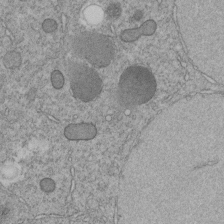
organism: C. elegans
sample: C. elegans embryo early stage